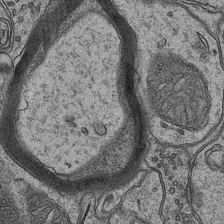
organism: Mouse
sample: CA1 Hippocampus